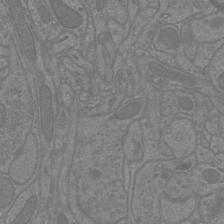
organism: Mouse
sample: Cortical neurons